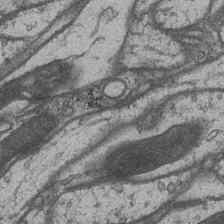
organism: Drosophila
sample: Optic medulla